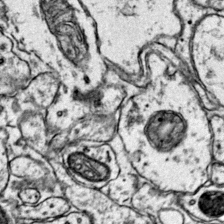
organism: Mouse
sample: Primary visual cortex